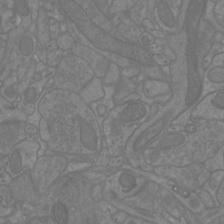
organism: Mouse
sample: Cortical neurons